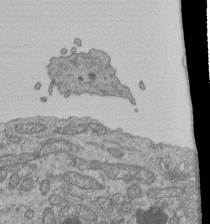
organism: Human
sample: Retinal organoid Rod and Cone cells